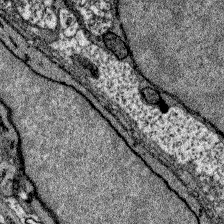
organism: Zebrafish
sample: Larval olfactory bulb